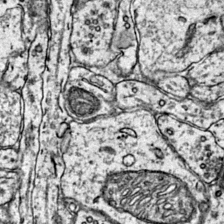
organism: Mouse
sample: Primary visual cortex